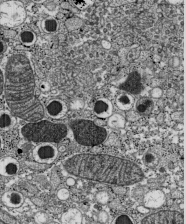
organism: C57BL Mouse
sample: Pancreatic islet